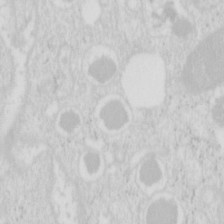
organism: Mouse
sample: Pancreas